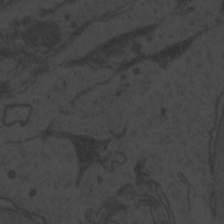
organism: Zebrafish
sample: Macrophage infected with Toxoplasma gondii